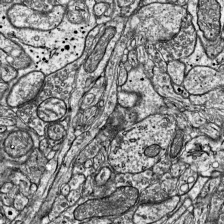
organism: Mouse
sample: Visual Cortex